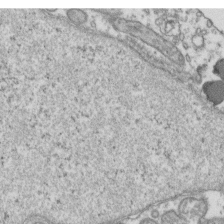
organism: Human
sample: Activated Jurkat CD4+ T cells